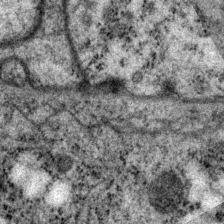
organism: P. pacificus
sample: Pharynx